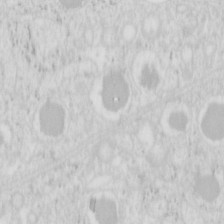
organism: Mouse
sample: Pancreas